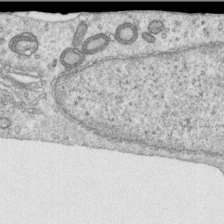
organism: Human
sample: Centriole in RPE cells